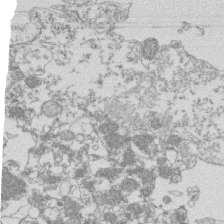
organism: Human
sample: HeLa cell HIV synapse